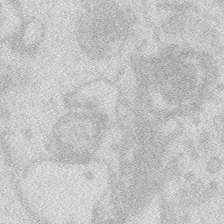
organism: Zebrafish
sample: Macrophage